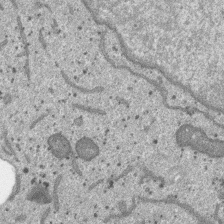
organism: Human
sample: Lung epithelial cells infected with SARS-CoV-2